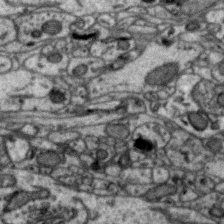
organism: Zebra finch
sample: Brain